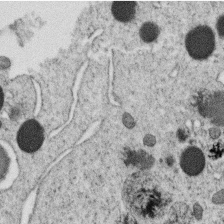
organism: C. elegans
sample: C. elegans oocyte; sperm cells